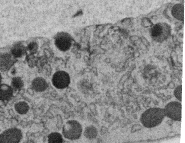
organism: C. elegans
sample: C. elegans oocyte; sperm cells